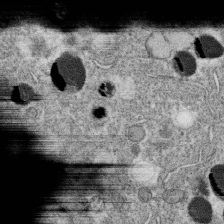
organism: C. elegans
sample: C. elegans oocyte; sperm cells